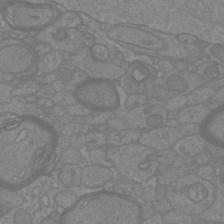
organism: Mouse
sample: Cortical neurons